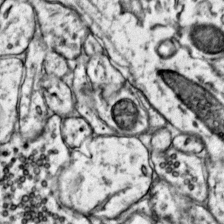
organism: Mouse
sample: Primary visual cortex